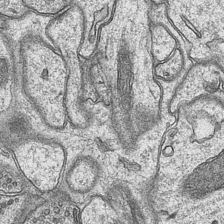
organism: Mouse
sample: CA1 Hippocampus